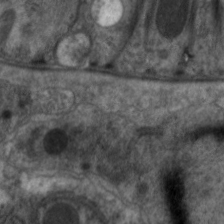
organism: C. elegans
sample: Pharynx